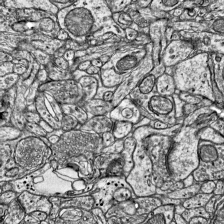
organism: Mouse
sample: Visual Cortex